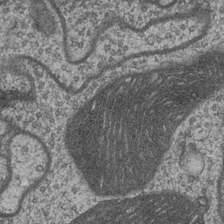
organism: Drosophila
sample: Optic medulla